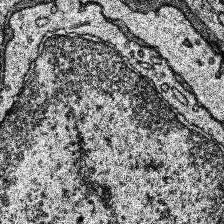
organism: Human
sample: Temporal Lobe